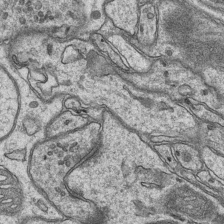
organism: Mouse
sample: CA1 Hippocampus